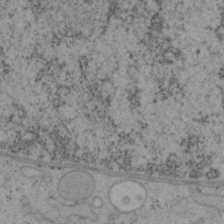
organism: Human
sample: HeLa cells